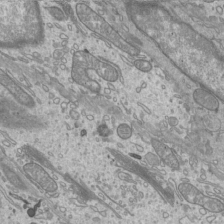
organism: Mouse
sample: Cilia; mouse epididymis